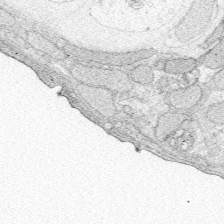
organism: Zebrafish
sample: Whole-Brain